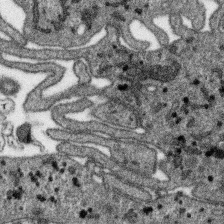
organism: Human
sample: Lung epithelial cells infected with SARS-CoV-2